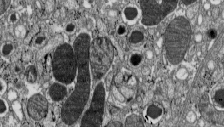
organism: C57BL Mouse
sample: Pancreatic islet